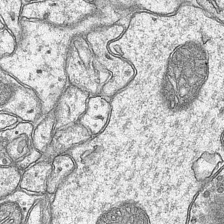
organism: Mouse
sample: CA1 Hippocampus